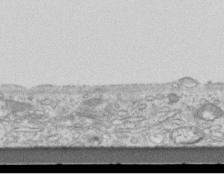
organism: Mouse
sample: Centriole in ependymal cells